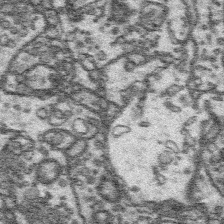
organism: Platynereis dumerilii